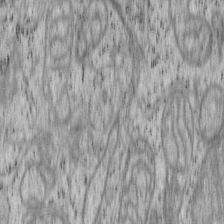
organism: Human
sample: HeLa cells